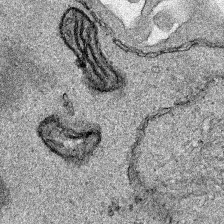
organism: Human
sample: Mitochondria in HCT116 cells